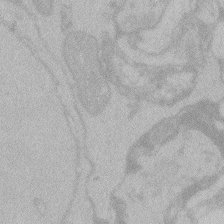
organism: Zebrafish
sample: Macrophage infected with Toxoplasma gondii